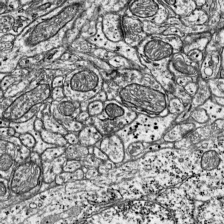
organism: Mouse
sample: Visual Cortex